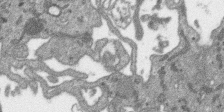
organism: Human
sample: Lung epithelial cells infected with SARS-CoV-2